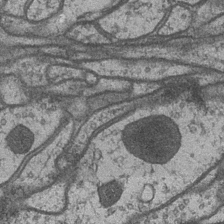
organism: Drosophila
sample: Optic medulla